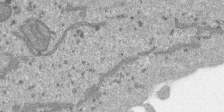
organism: Human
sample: Lung epithelial cells infected with SARS-CoV-2